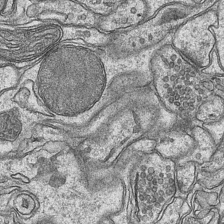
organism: Mouse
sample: CA1 Hippocampus